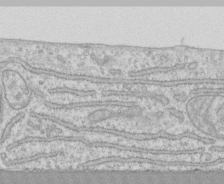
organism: Human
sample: CRL-1474